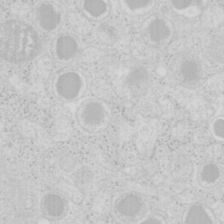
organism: Mouse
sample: Pancreas